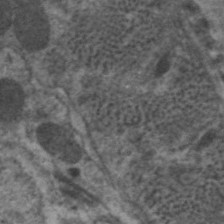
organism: C. elegans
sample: Pharynx